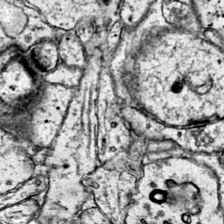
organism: Mouse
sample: Primary visual cortex